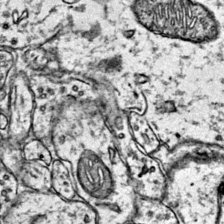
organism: Mouse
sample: Primary visual cortex